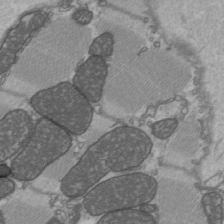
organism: C57BL Mouse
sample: Heart